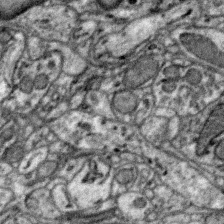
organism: Zebra finch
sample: Brain